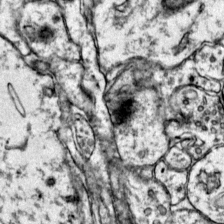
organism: Mouse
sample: Primary visual cortex